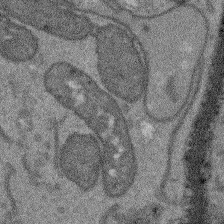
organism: Arabidopsis thaliana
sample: Root tip